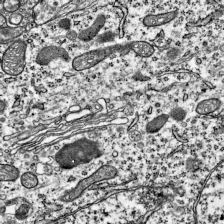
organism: Mouse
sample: Visual Cortex